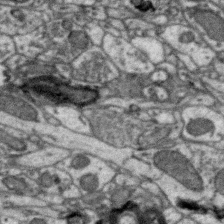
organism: Zebra finch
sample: Brain